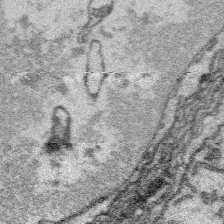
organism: Platynereis dumerilii